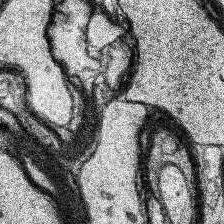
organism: Human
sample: Temporal Lobe